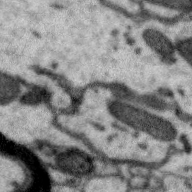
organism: Zebra finch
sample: Brain